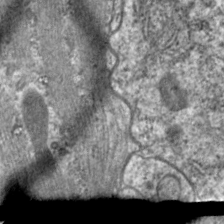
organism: C. elegans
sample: Pharynx